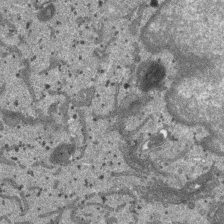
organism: Human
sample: Lung epithelial cells infected with SARS-CoV-2